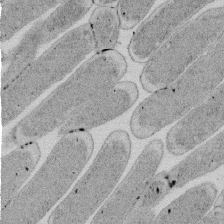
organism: E. coli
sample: Bacterial nucleoid